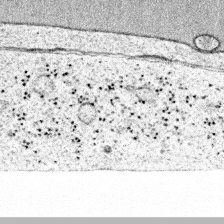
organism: Human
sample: HeLa cells